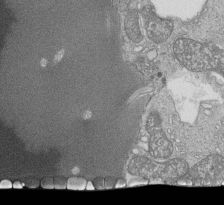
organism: Tetrahymena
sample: Cilia in tetrahymena